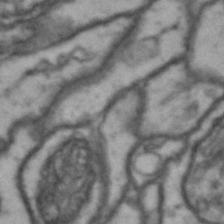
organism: Drosophila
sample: Brain